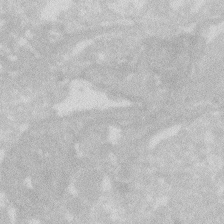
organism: Zebrafish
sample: Macrophage